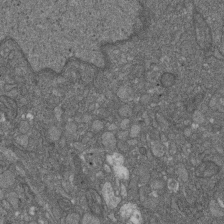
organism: Drosophila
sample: Nephrocyte